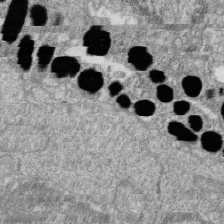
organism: Zebrafish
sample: Cilia; retinal pigment epithelium